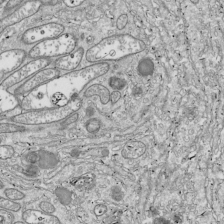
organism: Drosophila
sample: Cell division; meiosis; drosophila spermatocytes